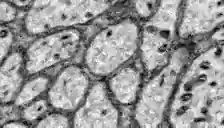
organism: Zebrafish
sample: Brain